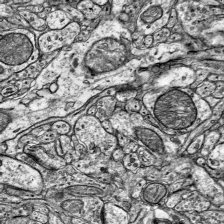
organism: Mouse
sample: Visual Cortex